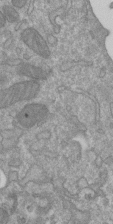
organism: Mouse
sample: ED-1 cell nuclei; centrioles